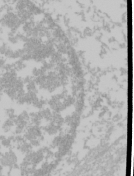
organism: Mouse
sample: Cancer cell death in ED-1 cells